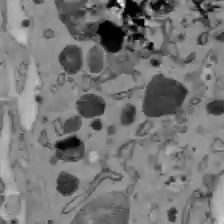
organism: C57BL Mouse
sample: Liver